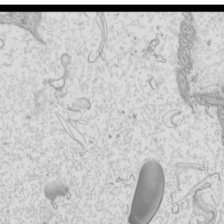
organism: Mouse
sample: Cilia; mouse epididymis